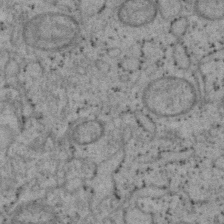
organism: Human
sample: HeLa cells